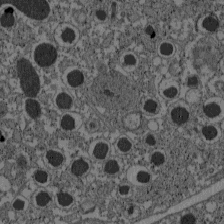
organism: C57BL Mouse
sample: Pancreatic islet